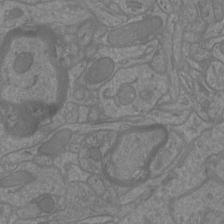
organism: Mouse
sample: Cortical neurons